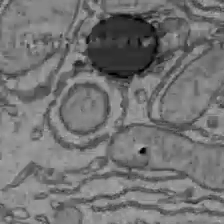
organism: C57BL Mouse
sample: Liver